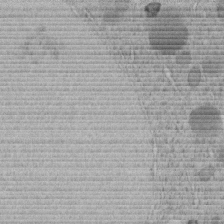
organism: C. elegans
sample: C. elegans embryo early stage